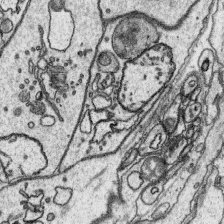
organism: Platynereis dumerilii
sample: Parapodia